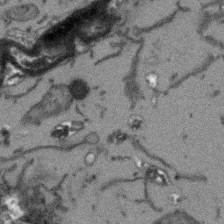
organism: Arabidopsis thaliana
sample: Root tip